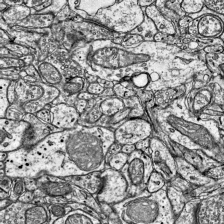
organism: Mouse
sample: Visual Cortex